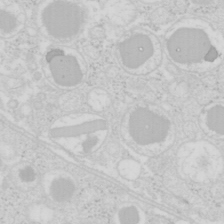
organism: Mouse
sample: Pancreas